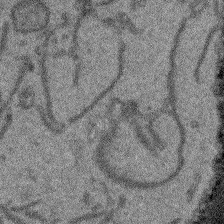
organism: Arabidopsis thaliana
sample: Root tip